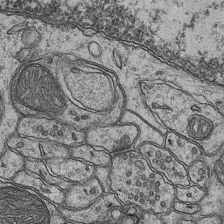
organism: Mouse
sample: CA1 Hippocampus